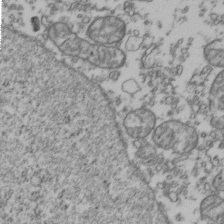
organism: Human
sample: Activated Jurkat CD4+ T cells